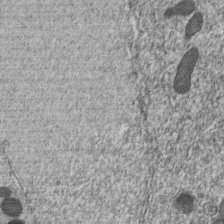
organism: C. elegans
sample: C. elegans embryo early stage